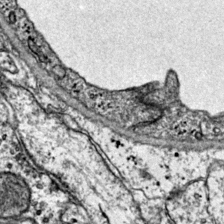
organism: Mouse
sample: Primary visual cortex